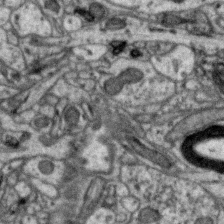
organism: Zebra finch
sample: Brain